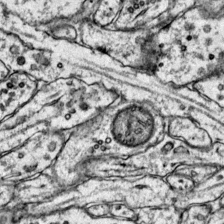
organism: Mouse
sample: Primary visual cortex